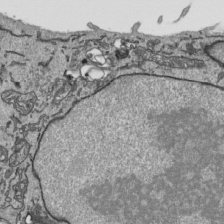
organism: Human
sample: Mitochondria in HCT116 cells